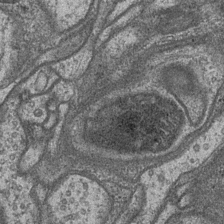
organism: Drosophila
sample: Optic medulla